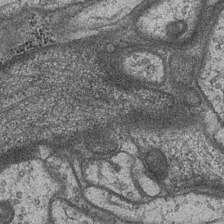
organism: Drosophila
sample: Optic medulla